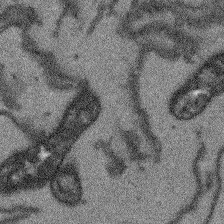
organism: Arabidopsis thaliana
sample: Root tip